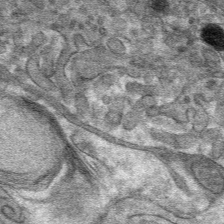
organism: Mouse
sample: Mouse hepatocytes